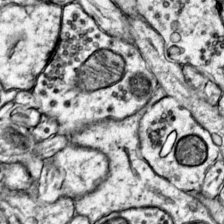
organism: Mouse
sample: Primary visual cortex